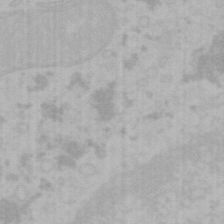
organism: Mouse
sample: Choroid plexus